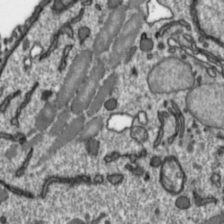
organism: Toxoplasma gondii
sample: Parasites in a vacuole inside a host cell